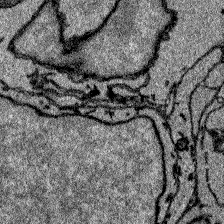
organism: Zebrafish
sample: Larval olfactory bulb